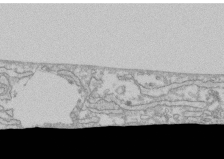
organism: Human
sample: CRL-1474